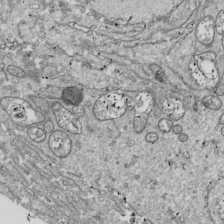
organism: Drosophila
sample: Cell division; meiosis; drosophila spermatocytes